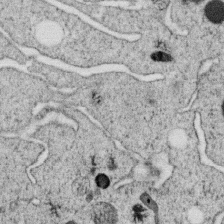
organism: C. elegans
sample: C. elegans oocyte; sperm cells